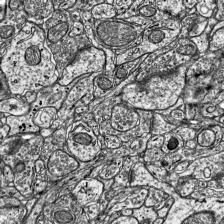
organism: Mouse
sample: Visual Cortex